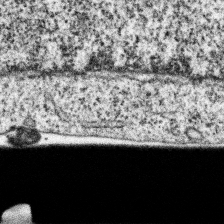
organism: Human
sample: HeLa cells